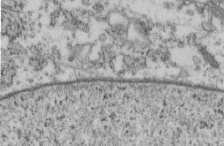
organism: Mouse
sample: Cilia; retinal pigment epithelium